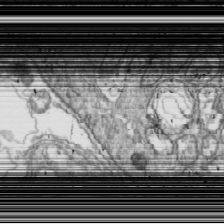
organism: Drosophila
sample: Cell division; meiosis; drosophila spermatocytes